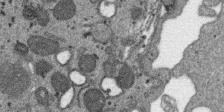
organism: Human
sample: Lung epithelial cells infected with SARS-CoV-2